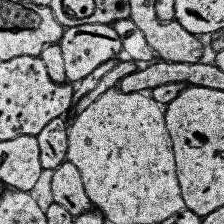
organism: Human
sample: Temporal Lobe